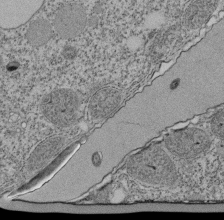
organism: Tetrahymena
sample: Cilia in tetrahymena